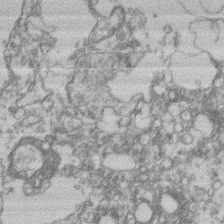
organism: Mouse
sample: T cell stromal cell synapse